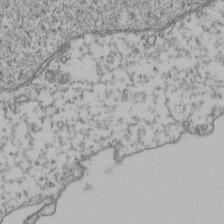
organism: Human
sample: Activated Jurkat CD4+ T cells